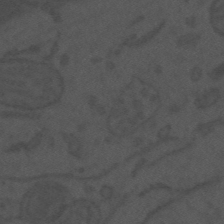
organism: Mouse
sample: Suprachiasmatic nucleus